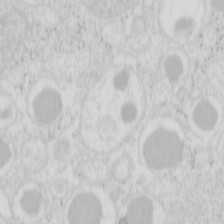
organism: Mouse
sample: Pancreas